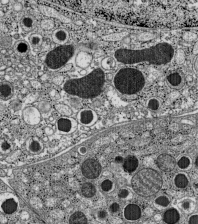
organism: C57BL Mouse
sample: Pancreatic islet